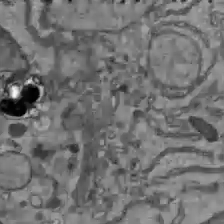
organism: C57BL Mouse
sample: Liver